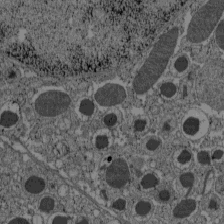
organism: C57BL Mouse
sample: Pancreatic islet